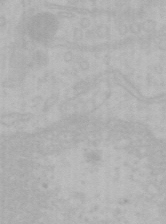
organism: Mouse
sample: Choroid plexus